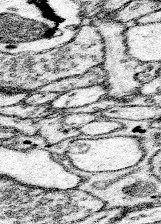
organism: Mouse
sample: Somatosensory cortex neuropil